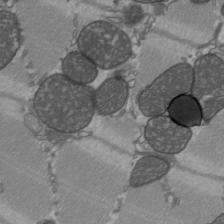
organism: C57BL Mouse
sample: Heart